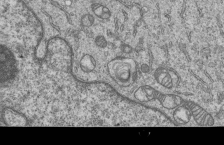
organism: Human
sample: MDA-MB-231 cells